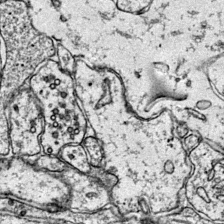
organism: Mouse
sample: Primary visual cortex